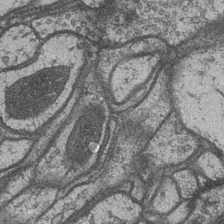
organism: Drosophila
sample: Optic medulla